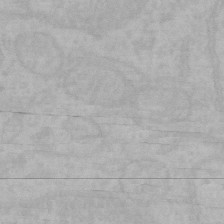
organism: Mouse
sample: Choroid plexus